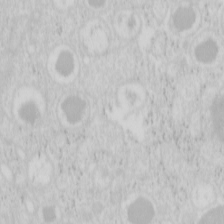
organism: Mouse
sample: Pancreas